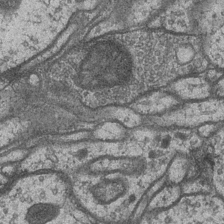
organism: Drosophila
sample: Optic medulla